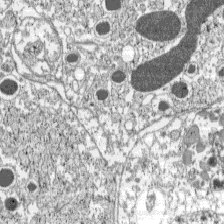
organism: C57BL Mouse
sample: Pancreatic islet